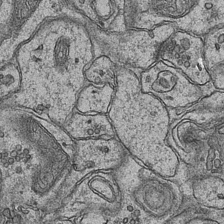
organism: Mouse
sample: CA1 Hippocampus